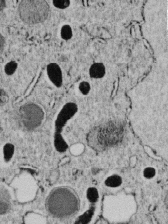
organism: C. elegans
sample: C. elegans embryo early stage